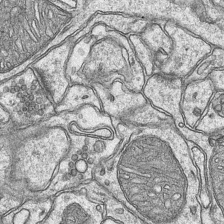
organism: Mouse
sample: CA1 Hippocampus